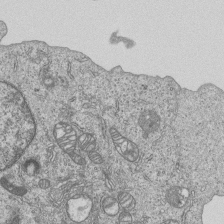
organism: Human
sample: MDA-MB-231 cells